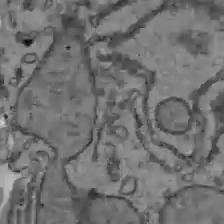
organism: C57BL Mouse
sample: Liver